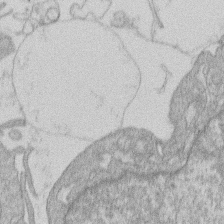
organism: Human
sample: Macrophage cells